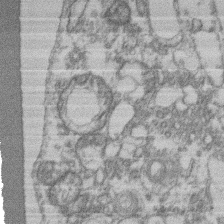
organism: Mouse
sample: T cell stromal cell synapse